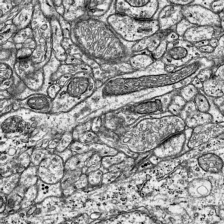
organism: Mouse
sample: Visual Cortex